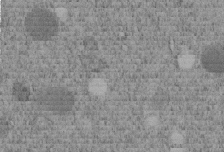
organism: C. elegans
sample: C. elegans embryo early stage